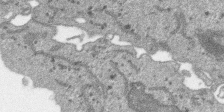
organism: Human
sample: Lung epithelial cells infected with SARS-CoV-2